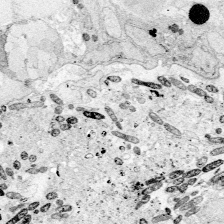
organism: Zebrafish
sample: Whole-Brain